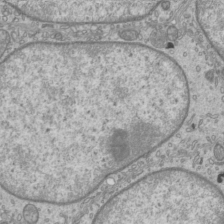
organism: Mouse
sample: Cilia; mouse epididymis